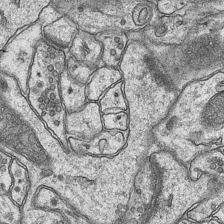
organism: Mouse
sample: CA1 Hippocampus